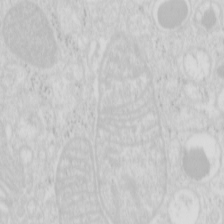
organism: Mouse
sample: Pancreas